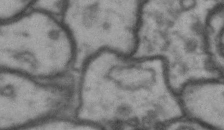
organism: Drosophila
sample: Brain